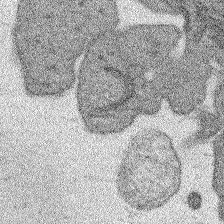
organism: Human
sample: HeLa cells